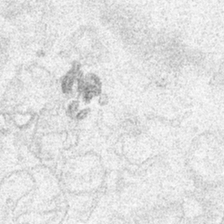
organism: Human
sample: Mitochondria in HCT116 cells